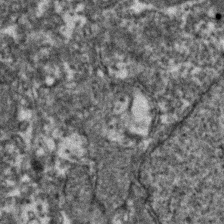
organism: Zebrafish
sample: Zebrafish embryo